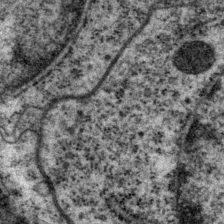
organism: P. pacificus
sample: Pharynx